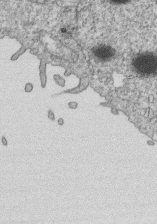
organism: Human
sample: HeLa cell HIV synapse